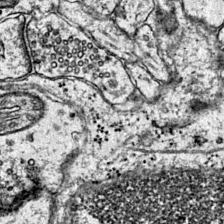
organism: Mouse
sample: Primary visual cortex